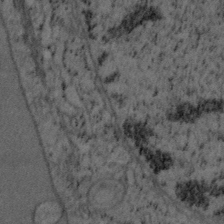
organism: Human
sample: HeLa cells